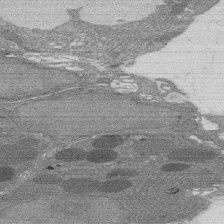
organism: Rat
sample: Salivary granule